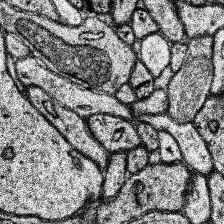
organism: Human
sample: Temporal Lobe